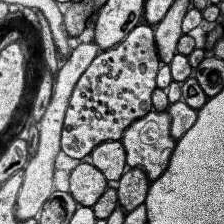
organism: Human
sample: Temporal Lobe